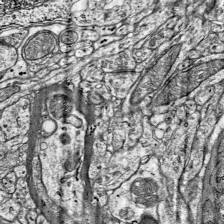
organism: Mouse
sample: Visual Cortex